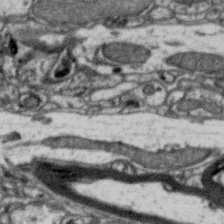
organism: Zebra finch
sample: Brain